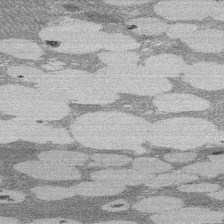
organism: Rat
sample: Salivary granule